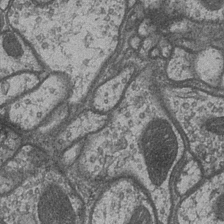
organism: Drosophila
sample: Optic medulla